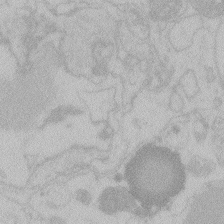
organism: Zebrafish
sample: Macrophage infected with Toxoplasma gondii